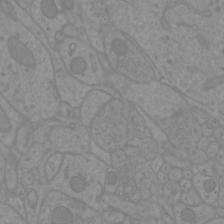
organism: Mouse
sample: Cortical neurons